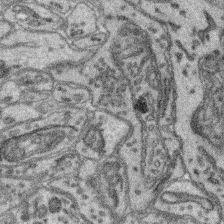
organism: Mouse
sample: Retina